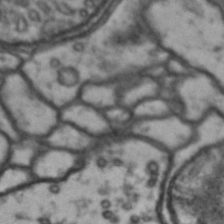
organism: Drosophila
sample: Brain